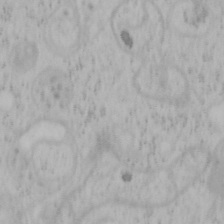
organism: Mouse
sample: OT-I killer T cells with ID8 ovarian cancer cells